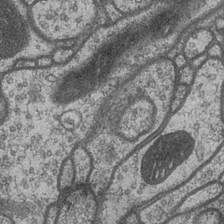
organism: Drosophila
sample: Optic medulla